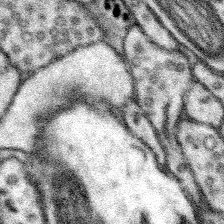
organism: Mouse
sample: Somatosensory cortex neuropil